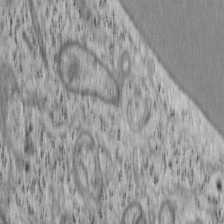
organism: Human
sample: HeLa cells